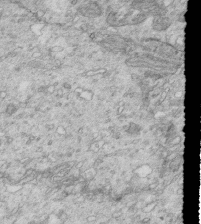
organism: Mouse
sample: Multiciliated cells